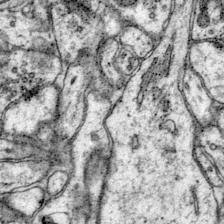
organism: Mouse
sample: Primary visual cortex